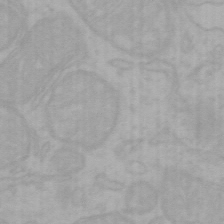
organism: Mouse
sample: Choroid plexus